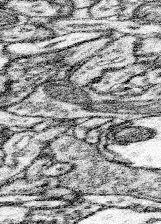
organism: Mouse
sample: Somatosensory cortex neuropil